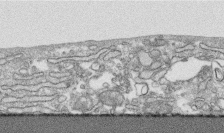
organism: Human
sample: CRL-1474